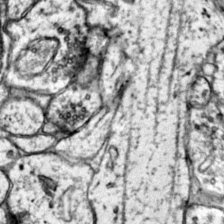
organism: Mouse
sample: Primary visual cortex